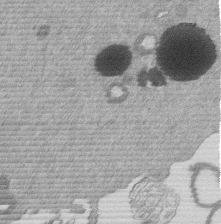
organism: Mouse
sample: Dividing mouse embryo 1 cell stage